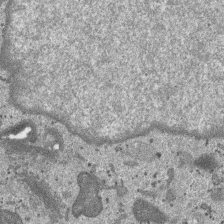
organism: Human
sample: Lung epithelial cells infected with SARS-CoV-2